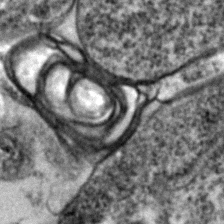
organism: Zebrafish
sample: Zebrafish embryo